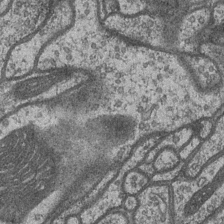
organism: Drosophila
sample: Optic medulla